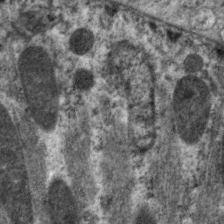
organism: C. elegans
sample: Pharynx